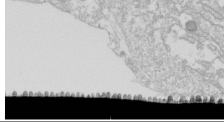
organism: Drosophila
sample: Cell division; meiosis; drosophila spermatocytes